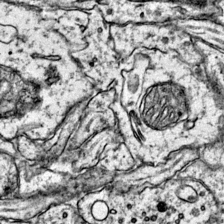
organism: Mouse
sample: Primary visual cortex